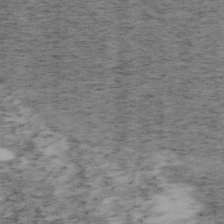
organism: Mouse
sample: OT-I killer T cells with ID8 ovarian cancer cells